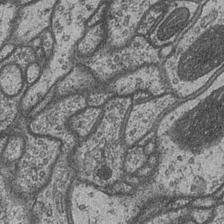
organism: Drosophila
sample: Optic medulla